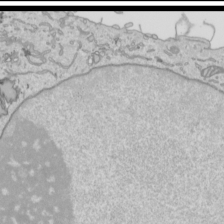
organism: Human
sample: Mitochondria in HCT116 cells